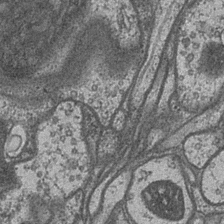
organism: Drosophila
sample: Optic medulla